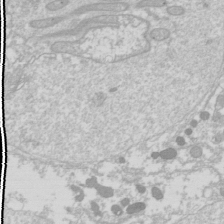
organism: Drosophila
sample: Cell division; meiosis; drosophila spermatocytes